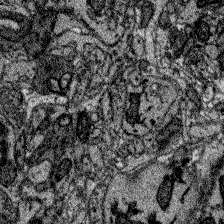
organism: Zebrafish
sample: Larval olfactory bulb